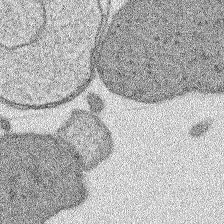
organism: Human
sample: HeLa cells